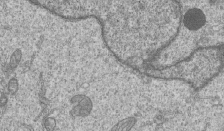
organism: Human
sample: MDA-MB-231 cells